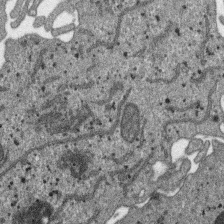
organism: Human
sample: Lung epithelial cells infected with SARS-CoV-2